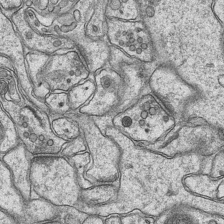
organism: Mouse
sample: CA1 Hippocampus